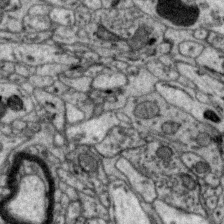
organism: Zebra finch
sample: Brain